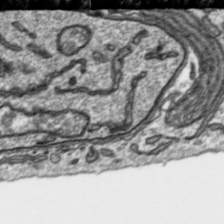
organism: Toxoplasma gondii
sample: Parasites in a vacuole inside a host cell